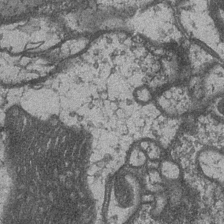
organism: Drosophila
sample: Optic medulla